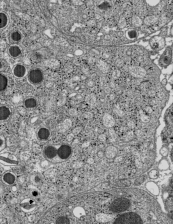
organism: C57BL Mouse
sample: Pancreatic islet